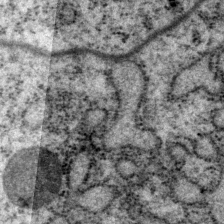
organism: P. pacificus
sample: Pharynx